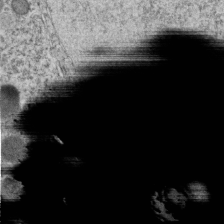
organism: C. elegans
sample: C. elegans embryo early stage